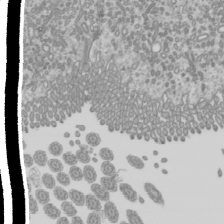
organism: Mouse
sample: Cilia; mouse epididymis